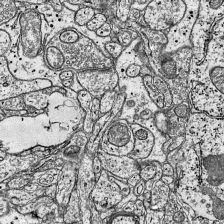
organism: Mouse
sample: Visual Cortex